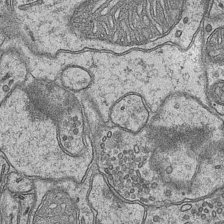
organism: Mouse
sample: CA1 Hippocampus